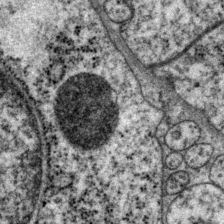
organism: P. pacificus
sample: Pharynx